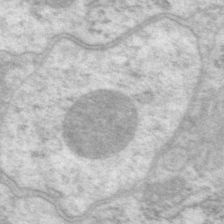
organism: P. pacificus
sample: Pharynx